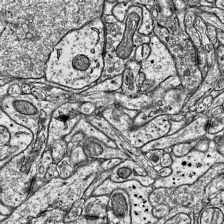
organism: Mouse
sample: Visual Cortex